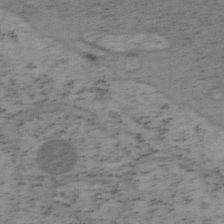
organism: Mouse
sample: OT-I killer T cells with ID8 ovarian cancer cells